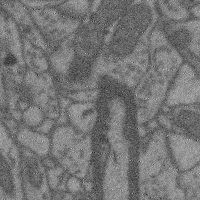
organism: Mouse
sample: Cerebral cortex